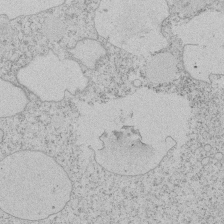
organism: Tetrahymena